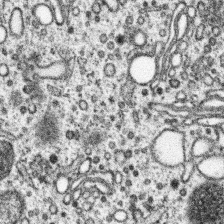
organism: Human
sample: HeLa cells